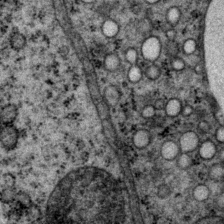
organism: P. pacificus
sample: Pharynx